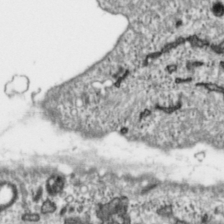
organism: Toxoplasma gondii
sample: Parasites in a vacuole inside a host cell